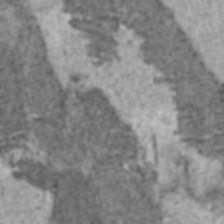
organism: C57BL Mouse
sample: Heart